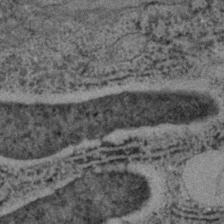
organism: C. elegans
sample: C. elegans embryo